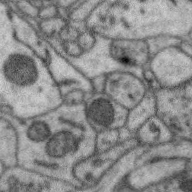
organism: Zebra finch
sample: Brain